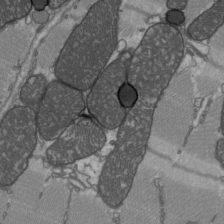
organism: C57BL Mouse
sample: Heart